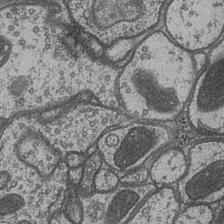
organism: Drosophila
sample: Optic medulla